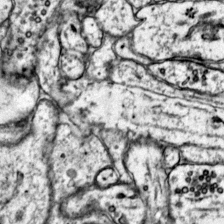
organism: Mouse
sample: Primary visual cortex